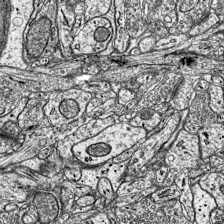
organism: Mouse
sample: Visual Cortex